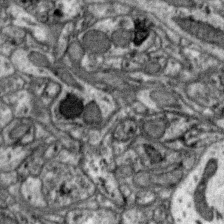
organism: Zebra finch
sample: Brain